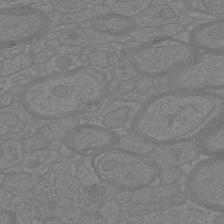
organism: Mouse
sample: Cortical neurons